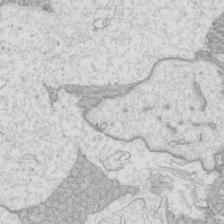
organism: Mouse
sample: Cilia; mouse epididymis